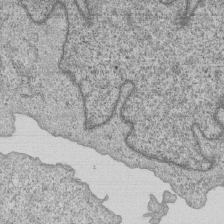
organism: Human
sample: MDA-MB-231 cells